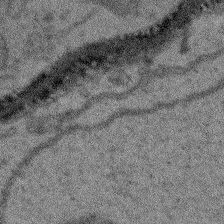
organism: Arabidopsis thaliana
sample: Root tip